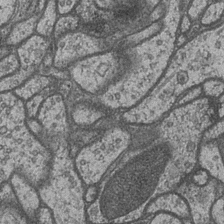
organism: Drosophila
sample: Optic medulla